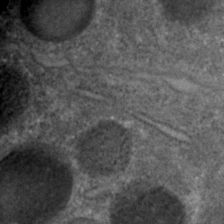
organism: C. elegans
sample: C. elegans embryo